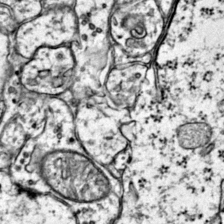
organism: Mouse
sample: Primary visual cortex